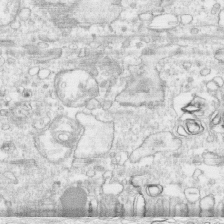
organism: Human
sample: CRL-1474